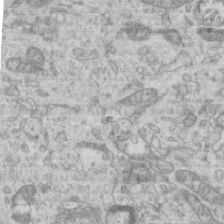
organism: Mouse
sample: Centriole in ependymal cells